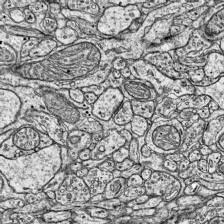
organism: Mouse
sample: Visual Cortex